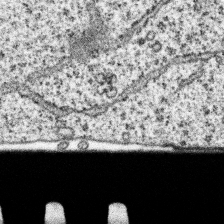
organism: Human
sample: HeLa cells